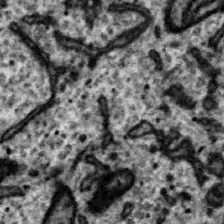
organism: Human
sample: HeLa cells